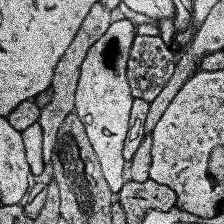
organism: Human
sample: Temporal Lobe